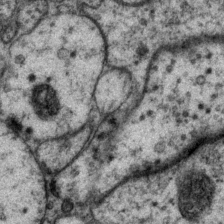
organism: P. pacificus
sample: Pharynx